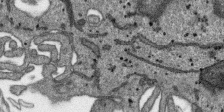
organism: Human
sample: Lung epithelial cells, uninfected (mock) control